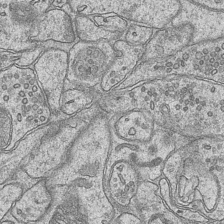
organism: Mouse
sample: CA1 Hippocampus